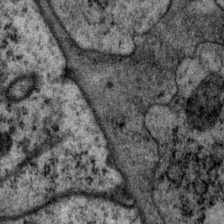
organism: P. pacificus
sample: Pharynx